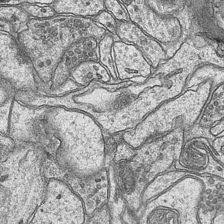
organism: Mouse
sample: CA1 Hippocampus